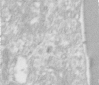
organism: Human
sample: Centriole in RPE cells